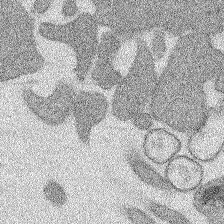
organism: Human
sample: HeLa cells